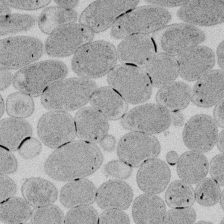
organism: E. coli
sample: Bacterial nucleoid